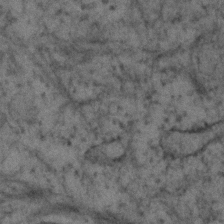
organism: Human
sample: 1205lu cells